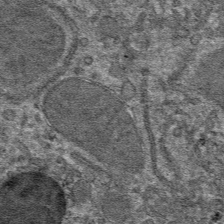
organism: Mouse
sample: Mouse hepatocytes